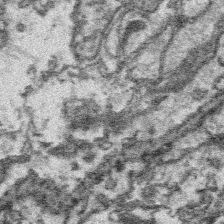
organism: Platynereis dumerilii